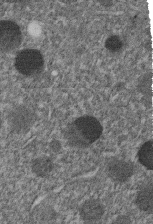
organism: C. elegans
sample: C. elegans embryo early stage